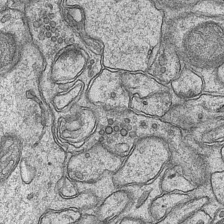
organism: Mouse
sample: CA1 Hippocampus